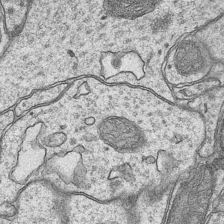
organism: Mouse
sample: CA1 Hippocampus